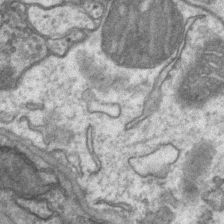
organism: Mouse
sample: CA1 Hippocampus